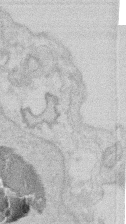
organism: Mouse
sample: T cell stromal cell synapse